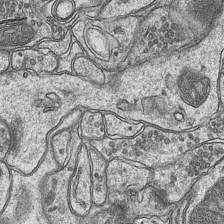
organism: Mouse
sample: CA1 Hippocampus